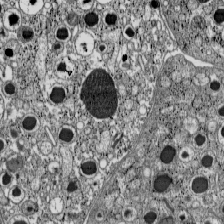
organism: C57BL Mouse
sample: Pancreatic islet